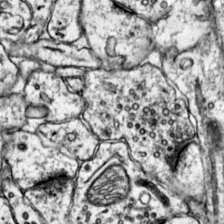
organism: Mouse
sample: Primary visual cortex